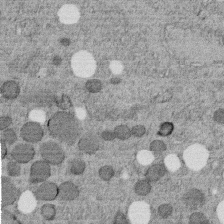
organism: C. elegans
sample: C. elegans embryo early stage